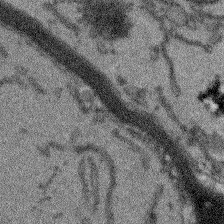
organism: Arabidopsis thaliana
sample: Root tip